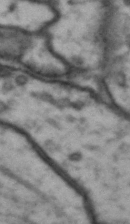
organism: Drosophila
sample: Brain